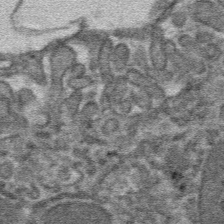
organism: Mouse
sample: Mouse hepatocytes